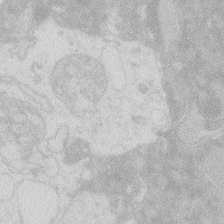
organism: Zebrafish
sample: Macrophage